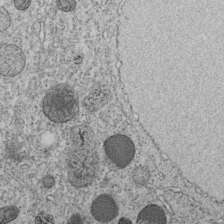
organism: C. elegans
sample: C. elegans embryo early stage